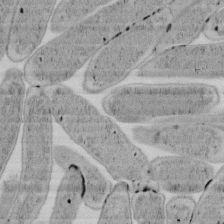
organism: E. coli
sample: Bacterial nucleoid